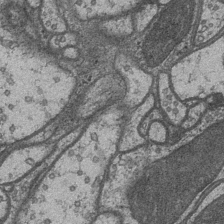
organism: Drosophila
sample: Optic medulla